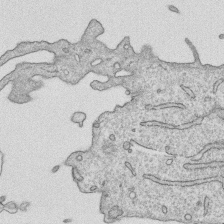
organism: Human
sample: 1205lu cells